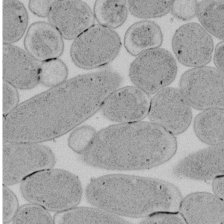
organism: E. coli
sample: Bacterial nucleoid